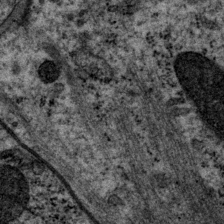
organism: P. pacificus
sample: Pharynx